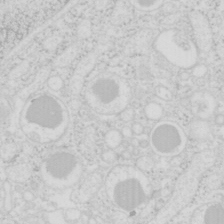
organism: Mouse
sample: Pancreas